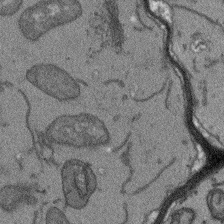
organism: Arabidopsis thaliana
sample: Root tip